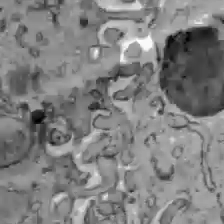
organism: C57BL Mouse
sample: Liver